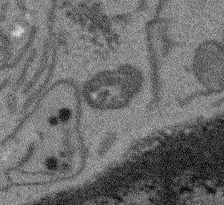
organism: Arabidopsis thaliana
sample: Root tip